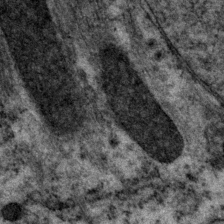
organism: P. pacificus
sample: Pharynx